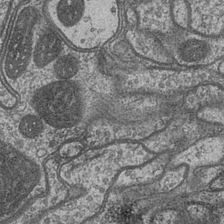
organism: Drosophila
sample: Optic medulla